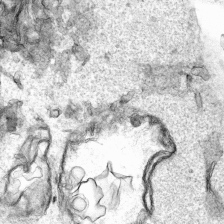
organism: Human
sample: Mitochondria in HCT116 cells